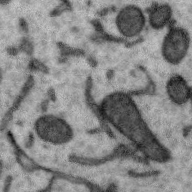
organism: Zebra finch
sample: Brain